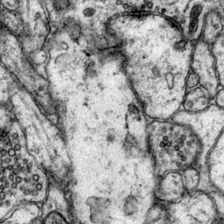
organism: Mouse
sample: Primary visual cortex